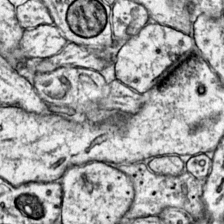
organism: Mouse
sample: Primary visual cortex